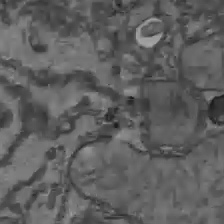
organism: C57BL Mouse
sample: Liver